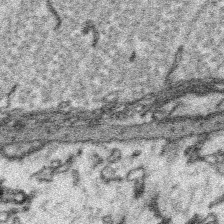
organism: Platynereis dumerilii